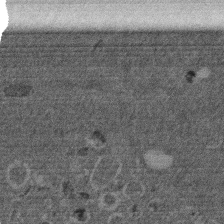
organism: Mouse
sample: Dividing mouse embryo 1 cell stage